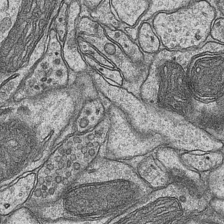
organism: Mouse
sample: CA1 Hippocampus